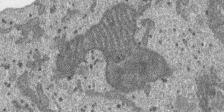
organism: Human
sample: Lung epithelial cells infected with SARS-CoV-2